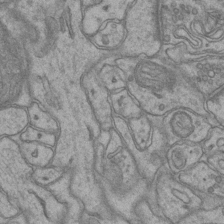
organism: Mouse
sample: CA1 Hippocampus